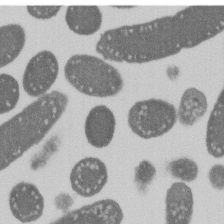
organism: E. coli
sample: Bacterial nucleoid